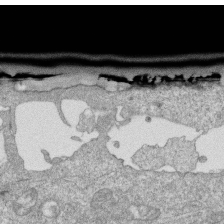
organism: Human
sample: HeLa cell HIV synapse